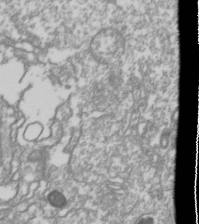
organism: Drosophila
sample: Cell division; meiosis; drosophila spermatocytes